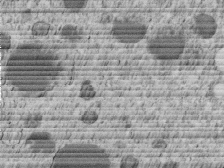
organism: C. elegans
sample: C. elegans embryo early stage